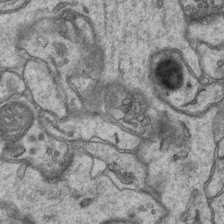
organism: Mouse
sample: CA1 Hippocampus